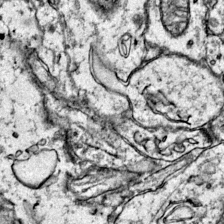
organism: Mouse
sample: Primary visual cortex